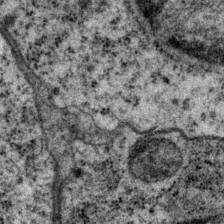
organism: P. pacificus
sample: Pharynx